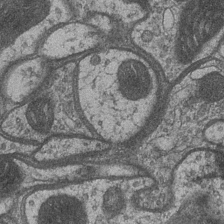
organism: Drosophila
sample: Optic medulla